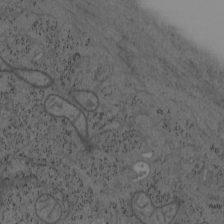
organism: Mouse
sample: OT-I killer T cells with ID8 ovarian cancer cells